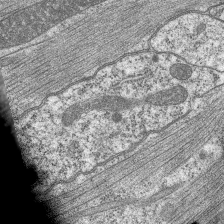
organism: C. elegans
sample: Pharynx